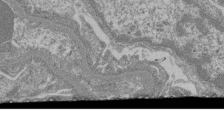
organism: Mouse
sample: Glomerulus